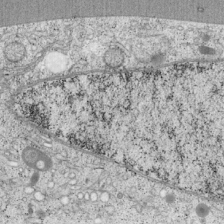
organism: African green monkey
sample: COS-7 cells